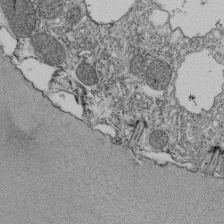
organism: Tetrahymena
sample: Cilia in tetrahymena